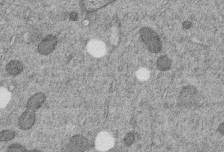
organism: C. elegans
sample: C. elegans embryo early stage